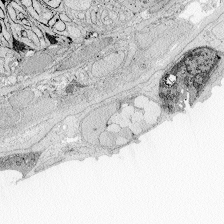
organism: Zebrafish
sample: Whole-Brain